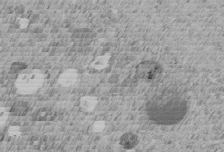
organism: C. elegans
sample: C. elegans embryo early stage